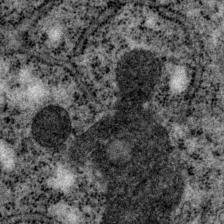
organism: P. pacificus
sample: Pharynx